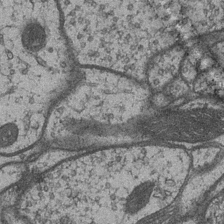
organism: Drosophila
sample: Optic medulla